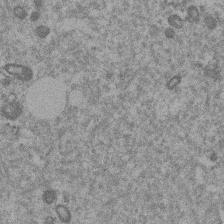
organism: Mouse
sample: Dividing mouse embryo 1 cell stage